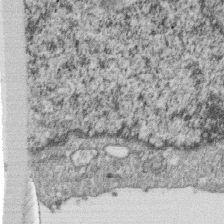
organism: African green monkey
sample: Vero E6 cells infected with SARS-CoV-2